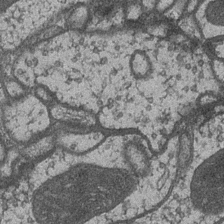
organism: Drosophila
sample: Optic medulla